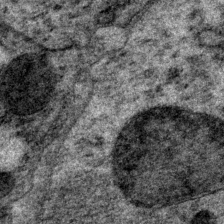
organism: P. pacificus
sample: Pharynx